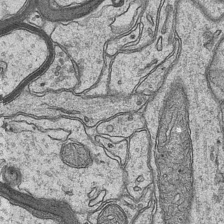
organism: Mouse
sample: CA1 Hippocampus